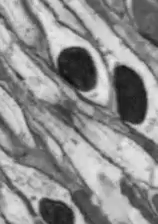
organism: Drosophila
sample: Optic lobe